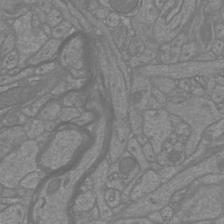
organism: Mouse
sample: Cortical neurons